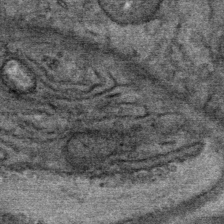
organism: Mouse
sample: Mouse Salivary gland